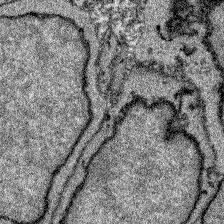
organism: Zebrafish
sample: Larval olfactory bulb